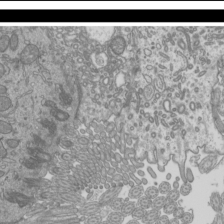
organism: Mouse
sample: Cilia; mouse epididymis